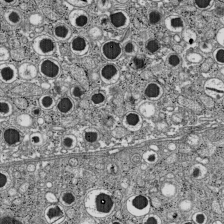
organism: C57BL Mouse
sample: Pancreatic islet